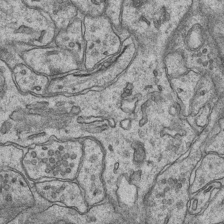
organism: Mouse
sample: CA1 Hippocampus